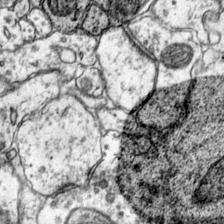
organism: Mouse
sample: Primary visual cortex